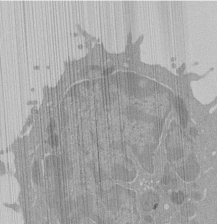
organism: Mouse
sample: Activated Pmel transgenic CD8+ T Cells